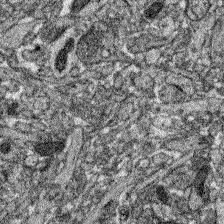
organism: Zebrafish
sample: Larval olfactory bulb